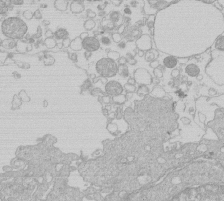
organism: Human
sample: Macrophage cells